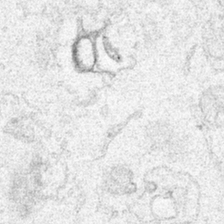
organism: Human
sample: Mitochondria in HCT116 cells